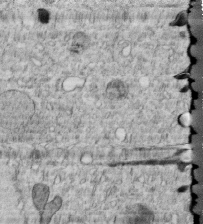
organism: C. elegans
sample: C. elegans embryo early stage